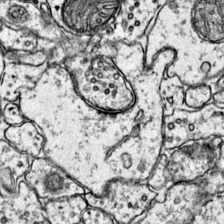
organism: Mouse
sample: Primary visual cortex